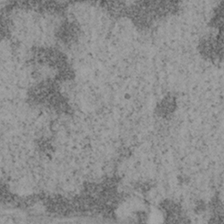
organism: Mouse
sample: OT-I killer T cells with ID8 ovarian cancer cells